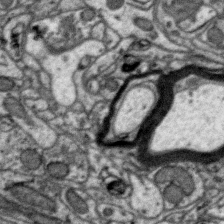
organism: Zebra finch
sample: Brain